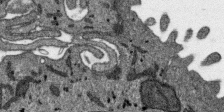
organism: Human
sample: Lung epithelial cells, uninfected (mock) control